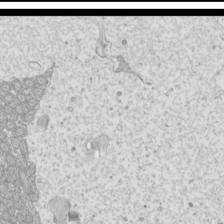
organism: Mouse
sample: Cilia; mouse epididymis